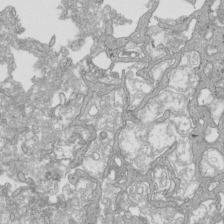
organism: Human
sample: Mitochondria in HCT116 cells